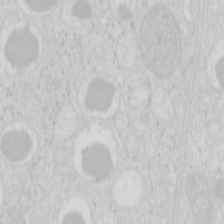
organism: Mouse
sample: Pancreas